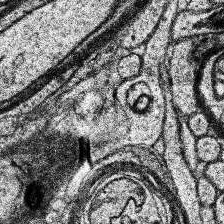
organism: Human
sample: Temporal Lobe